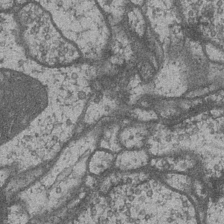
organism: Drosophila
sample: Optic medulla